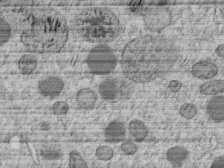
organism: C. elegans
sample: C. elegans embryo early stage